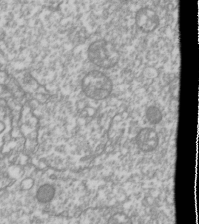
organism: Drosophila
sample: Cell division; meiosis; drosophila spermatocytes